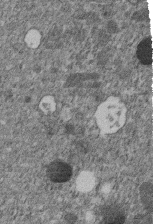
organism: C. elegans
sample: C. elegans embryo early stage